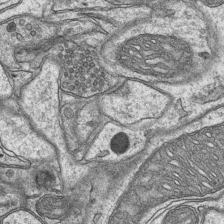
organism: Mouse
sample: CA1 Hippocampus